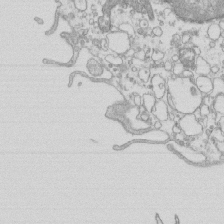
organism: Mouse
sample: Macrophages